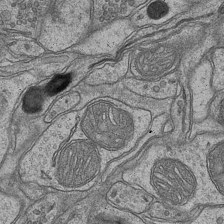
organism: Mouse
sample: CA1 Hippocampus